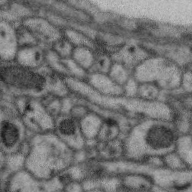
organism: Zebra finch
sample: Brain